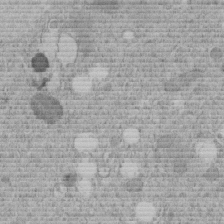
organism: C. elegans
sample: C. elegans embryo early stage